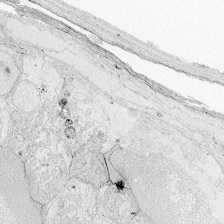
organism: Zebrafish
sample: Whole-Brain